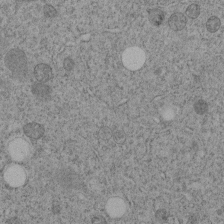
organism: C. elegans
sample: C. elegans embryo early stage